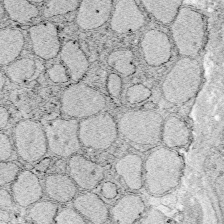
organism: Zebrafish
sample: Whole-Brain